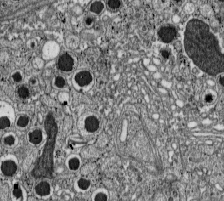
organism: C57BL Mouse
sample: Pancreatic islet